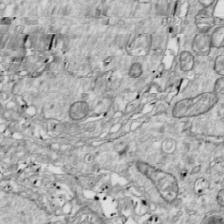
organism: Drosophila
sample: Cell division; meiosis; drosophila spermatocytes